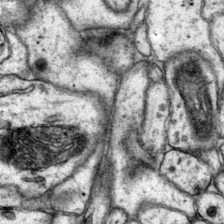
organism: Mouse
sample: Primary visual cortex